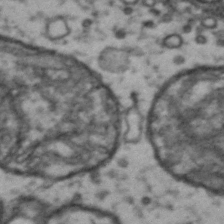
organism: Drosophila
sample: Brain